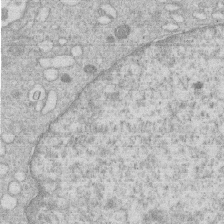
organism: Human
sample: Macrophage cells